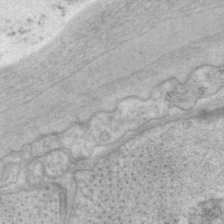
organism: P. pacificus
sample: Pharynx